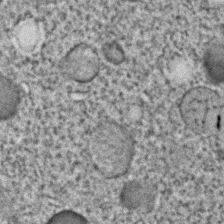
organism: C. elegans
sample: C. elegans embryo